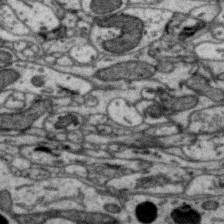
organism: Zebra finch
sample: Brain